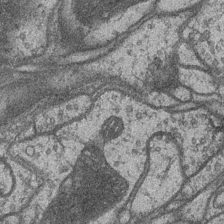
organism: Drosophila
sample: Optic medulla